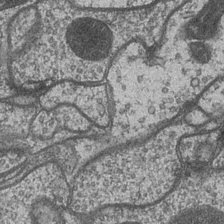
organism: Drosophila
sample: Optic medulla